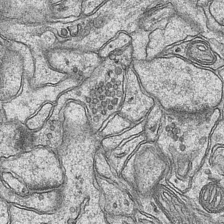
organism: Mouse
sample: CA1 Hippocampus